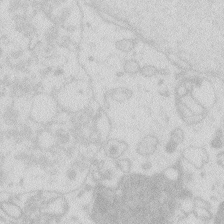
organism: Zebrafish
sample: Macrophage